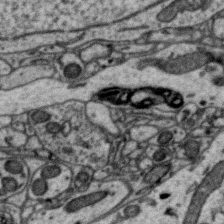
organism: Zebra finch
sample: Brain